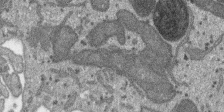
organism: Human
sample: Lung epithelial cells infected with SARS-CoV-2